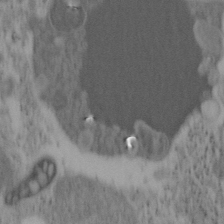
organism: Mouse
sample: OT-I killer T cells with ID8 ovarian cancer cells